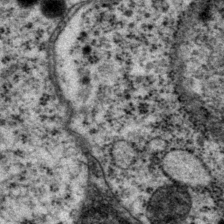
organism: P. pacificus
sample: Pharynx